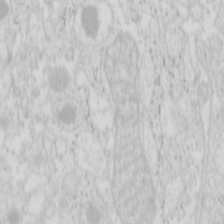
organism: Mouse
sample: Pancreas